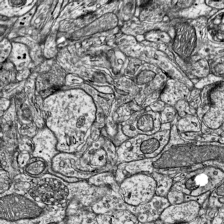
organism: Mouse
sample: Visual Cortex